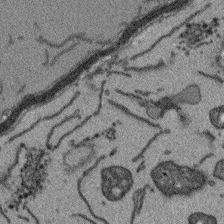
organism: Arabidopsis thaliana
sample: Root tip